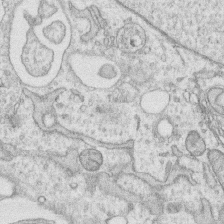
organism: Human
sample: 1205lu cells